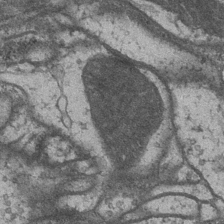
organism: Drosophila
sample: Optic medulla